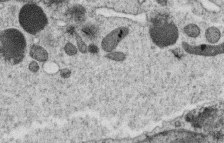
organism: C. elegans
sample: C. elegans oocyte; sperm cells